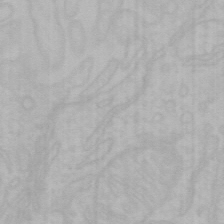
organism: Mouse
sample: Choroid plexus